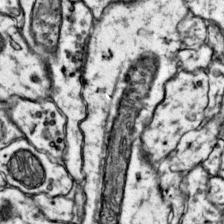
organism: Mouse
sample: Primary visual cortex